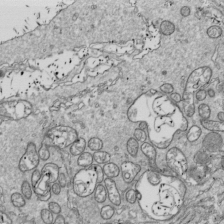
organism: Drosophila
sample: Cell division; meiosis; drosophila spermatocytes